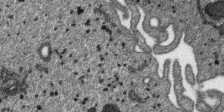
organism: Human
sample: Lung epithelial cells infected with SARS-CoV-2